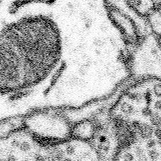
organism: Mouse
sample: Somatosensory cortex neuropil